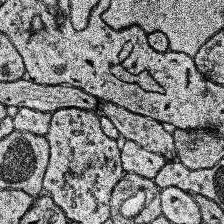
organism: Human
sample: Temporal Lobe